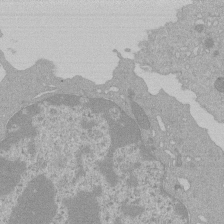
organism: Mouse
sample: Activated Pmel transgenic CD8+ T Cells